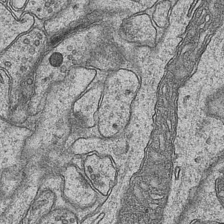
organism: Mouse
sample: CA1 Hippocampus